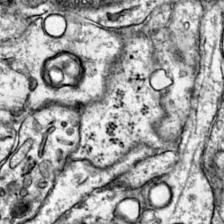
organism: Mouse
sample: Primary visual cortex